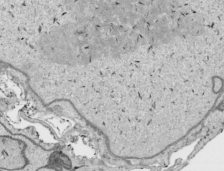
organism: Human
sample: Mitochondria in HCT116 cells